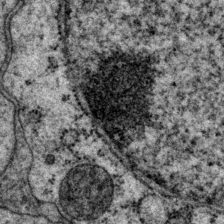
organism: P. pacificus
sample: Pharynx